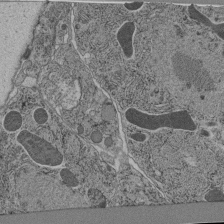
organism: C. elegans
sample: C. elegans pharynx